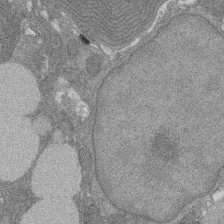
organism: Rat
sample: Salivary granule